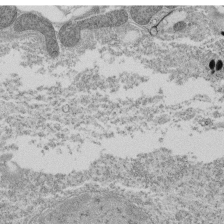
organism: Tetrahymena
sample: Cilia in tetrahymena